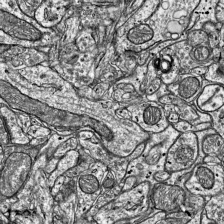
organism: Mouse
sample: Visual Cortex